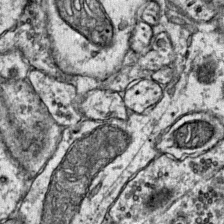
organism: Mouse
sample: Primary visual cortex